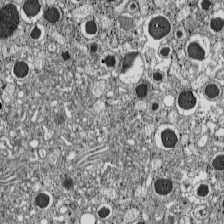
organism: C57BL Mouse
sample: Pancreatic islet